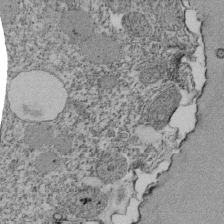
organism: Tetrahymena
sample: Cilia in tetrahymena